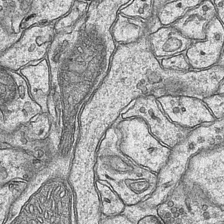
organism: Mouse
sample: CA1 Hippocampus